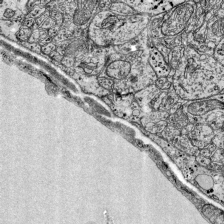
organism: Mouse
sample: Visual Cortex